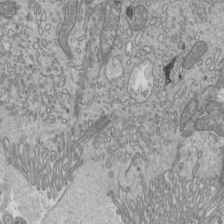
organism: Mouse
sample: Cilia; mouse epididymis